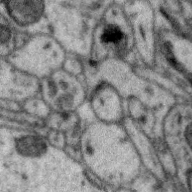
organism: Zebra finch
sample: Brain